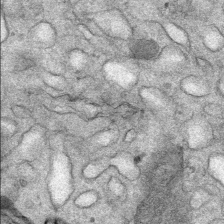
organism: Mouse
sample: Mouse Salivary gland